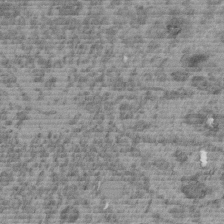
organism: C. elegans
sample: C. elegans embryo early stage